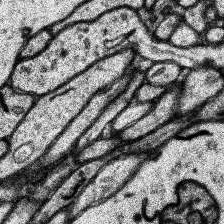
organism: Human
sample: Temporal Lobe